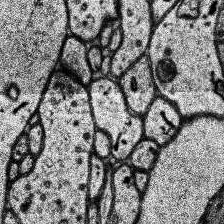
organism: Human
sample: Temporal Lobe